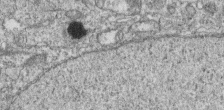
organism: Human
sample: HeLa cell HIV synapse